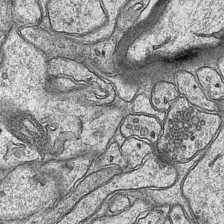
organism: Mouse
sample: CA1 Hippocampus